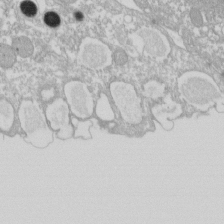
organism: Xenopus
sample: Cilia; centrioles in frog embryo cells